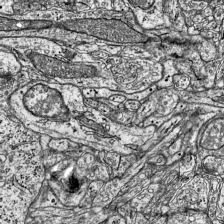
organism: Mouse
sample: Visual Cortex